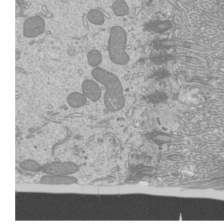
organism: Mouse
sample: Cilia; mouse epididymis